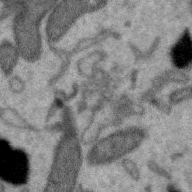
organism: Zebra finch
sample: Brain